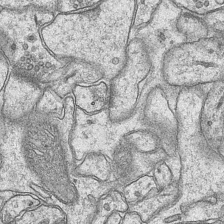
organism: Mouse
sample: CA1 Hippocampus